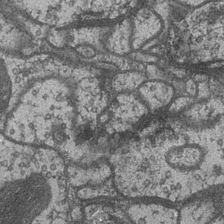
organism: Drosophila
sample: Optic medulla